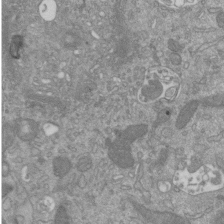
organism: Mouse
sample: ED-1 cell nuclei; centrioles